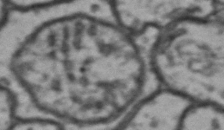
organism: Drosophila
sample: Brain